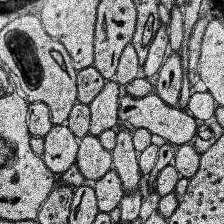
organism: Human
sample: Temporal Lobe